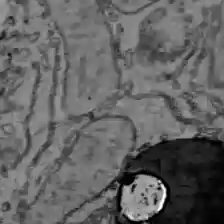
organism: C57BL Mouse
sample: Liver